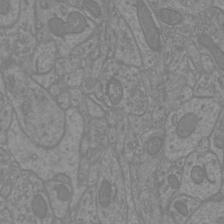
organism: Mouse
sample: Cortical neurons